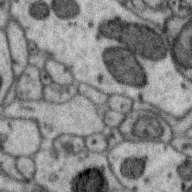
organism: Zebra finch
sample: Brain